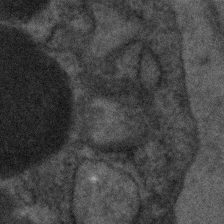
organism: Human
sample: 1205lu cells